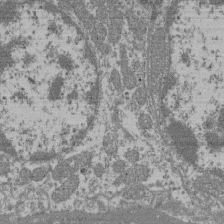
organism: Mouse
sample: Glomerulus